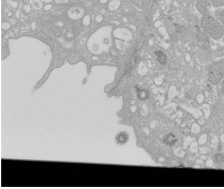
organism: Xenopus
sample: Cilia; centrioles in frog embryo cells